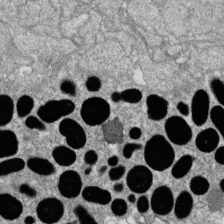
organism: Zebrafish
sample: Cilia; retinal pigment epithelium